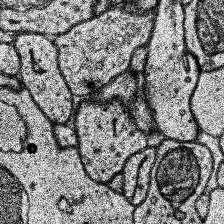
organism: Human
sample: Temporal Lobe